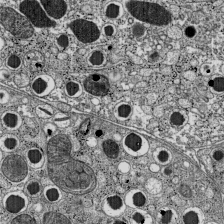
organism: C57BL Mouse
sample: Pancreatic islet